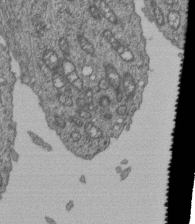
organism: Human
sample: Retinal organoid Rod and Cone cells